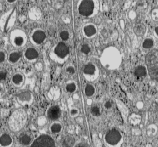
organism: C57BL Mouse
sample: Pancreatic islet